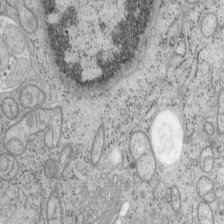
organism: Mouse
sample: OT-I killer T cells with ID8 ovarian cancer cells